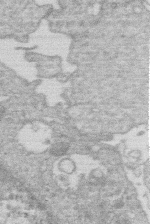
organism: Human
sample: Macrophage cells